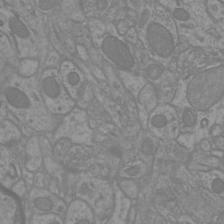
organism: Mouse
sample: Cortical neurons